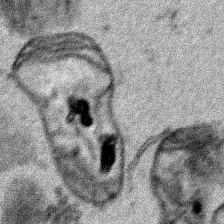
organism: Human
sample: Mitochondria in HCT116 cells